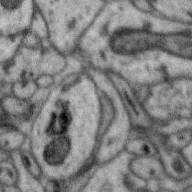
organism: Zebra finch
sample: Brain